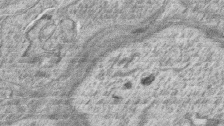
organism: Zebrafish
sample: synaptic ribbons in rod cells and cone cells